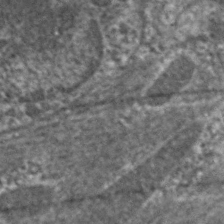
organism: C. elegans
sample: Pharynx